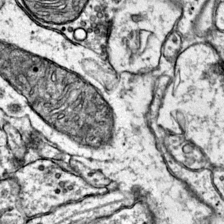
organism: Mouse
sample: Primary visual cortex